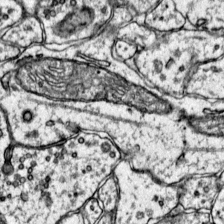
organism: Mouse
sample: Primary visual cortex